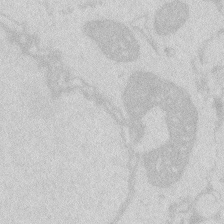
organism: Zebrafish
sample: Macrophage